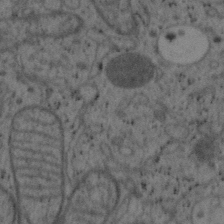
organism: Human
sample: HeLa cells